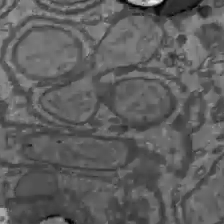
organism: C57BL Mouse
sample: Liver